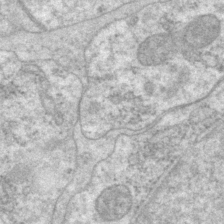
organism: P. pacificus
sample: Pharynx